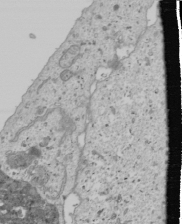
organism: Human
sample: Mitochondria in U2OS cells